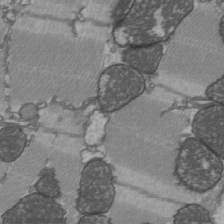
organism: C57BL Mouse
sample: Heart